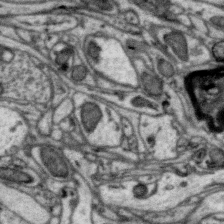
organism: Zebra finch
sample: Brain